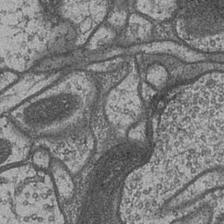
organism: Drosophila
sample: Optic medulla